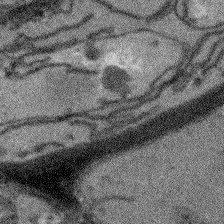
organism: Arabidopsis thaliana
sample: Root tip